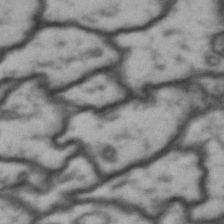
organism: Drosophila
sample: Brain